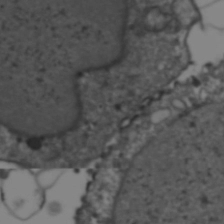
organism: Human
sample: HIV-1 Gag-iGFP